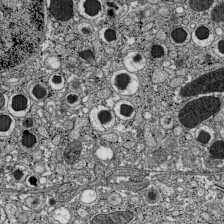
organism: C57BL Mouse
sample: Pancreatic islet